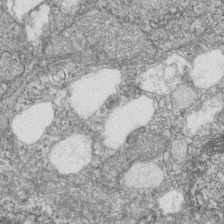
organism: Zebrafish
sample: Cilia; retinal pigment epithelium